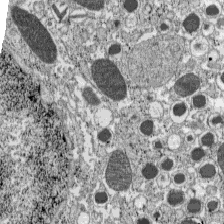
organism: C57BL Mouse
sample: Pancreatic islet